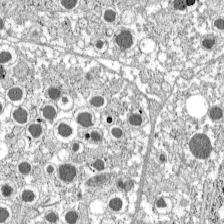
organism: C57BL Mouse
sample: Pancreatic islet